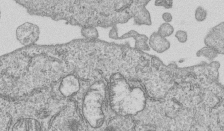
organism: Human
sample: MDA-MB-231 cells